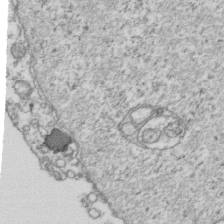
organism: Human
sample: Activated Jurkat CD4+ T cells